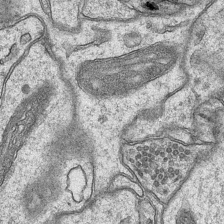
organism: Mouse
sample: CA1 Hippocampus